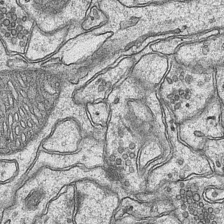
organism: Mouse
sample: CA1 Hippocampus